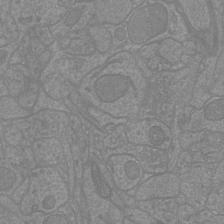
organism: Mouse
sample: Cortical neurons